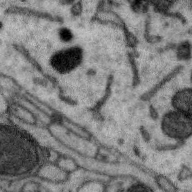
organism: Zebra finch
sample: Brain